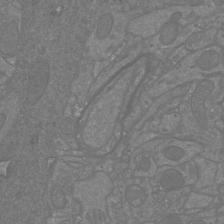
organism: Mouse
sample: Cortical neurons